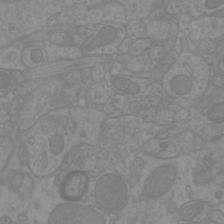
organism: Mouse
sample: Cortical neurons